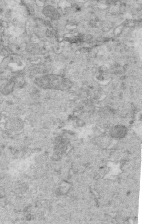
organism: Mouse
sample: Multiciliated cells